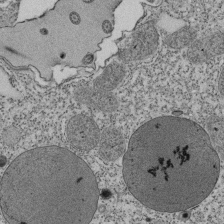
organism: Tetrahymena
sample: Cilia in tetrahymena